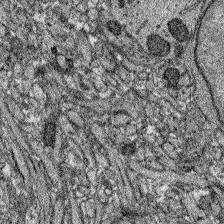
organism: Zebrafish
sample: Larval olfactory bulb